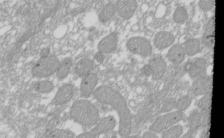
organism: Xenopus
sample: Cilia; centrioles in frog embryo cells